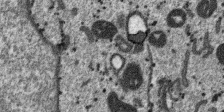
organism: Human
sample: Lung epithelial cells infected with SARS-CoV-2